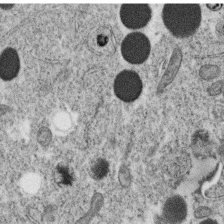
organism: C. elegans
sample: C. elegans oocyte; sperm cells